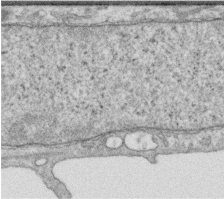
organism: Human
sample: Centriole in RPE cells